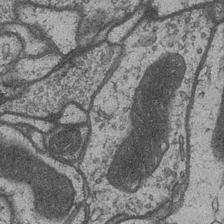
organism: Drosophila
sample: Optic medulla